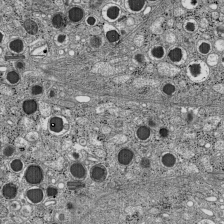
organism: C57BL Mouse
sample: Pancreatic islet